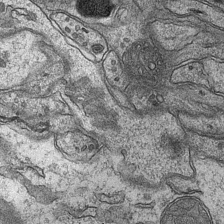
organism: Mouse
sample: CA1 Hippocampus